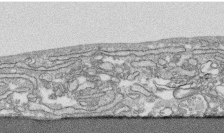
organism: Human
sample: CRL-1474